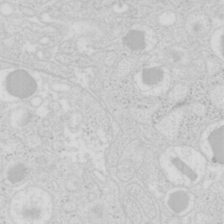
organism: Mouse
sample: Pancreas